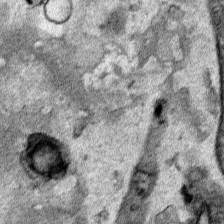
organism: Human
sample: Mitochondria in HCT116 cells